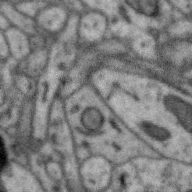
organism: Zebra finch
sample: Brain